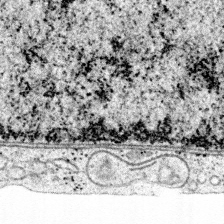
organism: Human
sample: HeLa cells